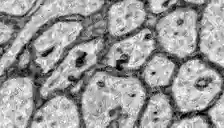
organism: Zebrafish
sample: Brain